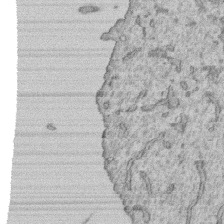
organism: Human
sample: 1205lu cells